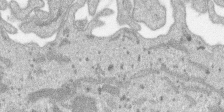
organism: Human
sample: Lung epithelial cells infected with SARS-CoV-2